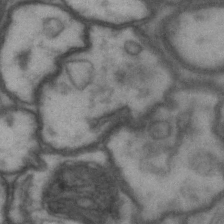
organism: Drosophila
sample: Brain